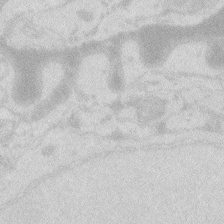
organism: Zebrafish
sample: Macrophage